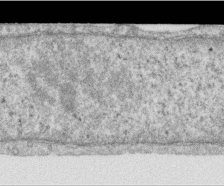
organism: Human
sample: Centriole in RPE cells